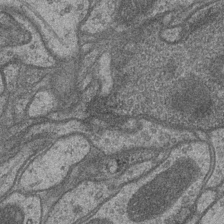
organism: Drosophila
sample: Optic medulla